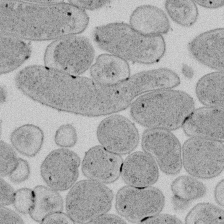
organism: E. coli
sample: Bacterial nucleoid